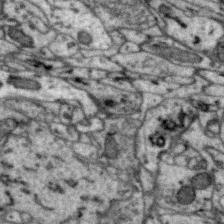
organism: Zebra finch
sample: Brain